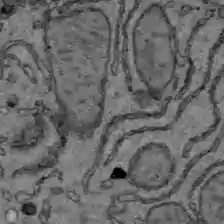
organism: C57BL Mouse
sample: Liver